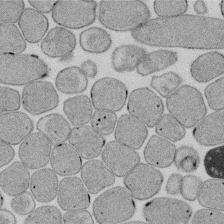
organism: E. coli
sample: Bacterial nucleoid